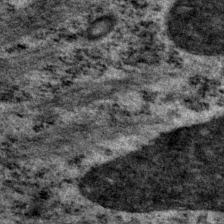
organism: P. pacificus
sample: Pharynx